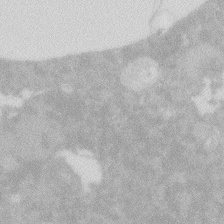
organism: Zebrafish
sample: Macrophage